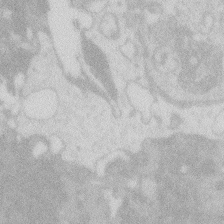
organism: Zebrafish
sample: Macrophage